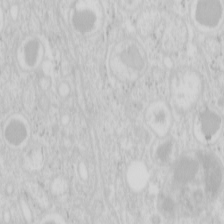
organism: Mouse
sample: Pancreas